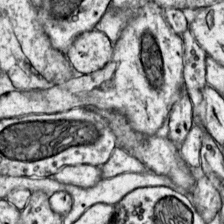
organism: Mouse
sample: Primary visual cortex